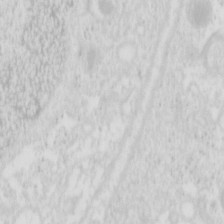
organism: Mouse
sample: Pancreas